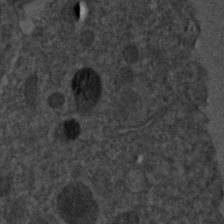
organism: C. elegans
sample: C. elegans embryo